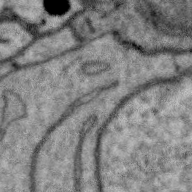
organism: Zebra finch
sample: Brain